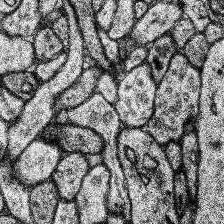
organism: Human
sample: Temporal Lobe